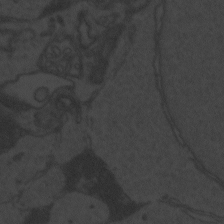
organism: Zebrafish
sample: Macrophage infected with Toxoplasma gondii